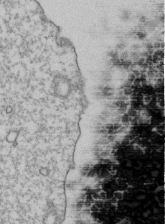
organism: Human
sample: Activated Jurkat CD4+ T cells